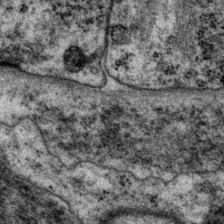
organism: P. pacificus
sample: Pharynx